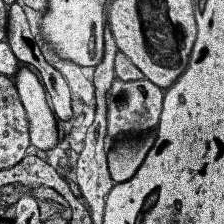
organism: Human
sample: Temporal Lobe